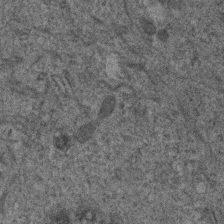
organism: Human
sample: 1205lu cells